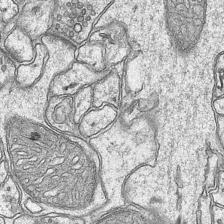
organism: Mouse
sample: CA1 Hippocampus